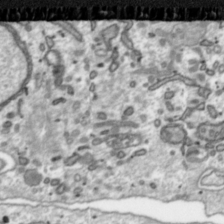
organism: Toxoplasma gondii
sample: Parasites in a vacuole inside a host cell